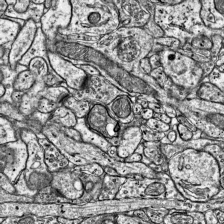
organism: Mouse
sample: Visual Cortex